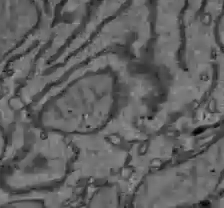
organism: C57BL Mouse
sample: Liver